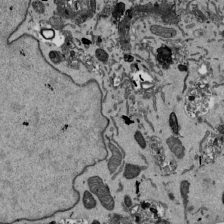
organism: Mouse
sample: ED-1 cell nuclei; centrioles